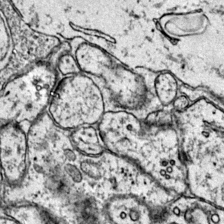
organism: Mouse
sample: Primary visual cortex